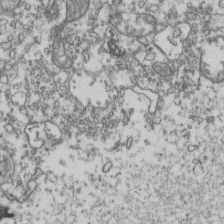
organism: Human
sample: Activated Jurkat CD4+ T cells